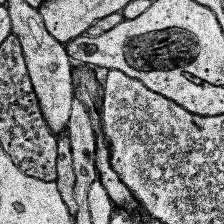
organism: Human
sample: Temporal Lobe